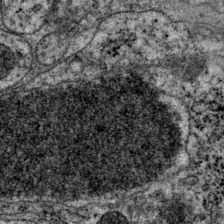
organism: P. pacificus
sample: Pharynx